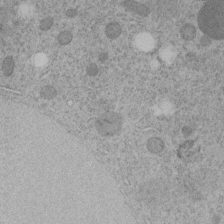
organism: C. elegans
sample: C. elegans embryo early stage